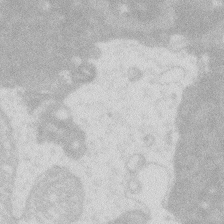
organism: Zebrafish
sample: Macrophage